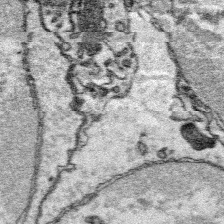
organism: Platynereis dumerilii